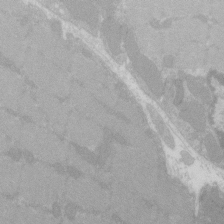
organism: C57BL Mouse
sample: Tibialis anterior muscle cell